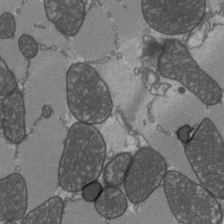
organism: C57BL Mouse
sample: Heart